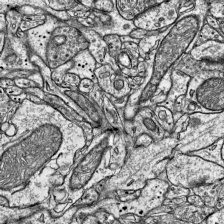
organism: Mouse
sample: Visual Cortex